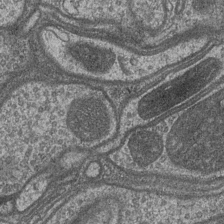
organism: Drosophila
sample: Optic medulla